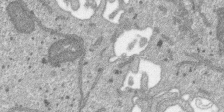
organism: Human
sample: Lung epithelial cells infected with SARS-CoV-2